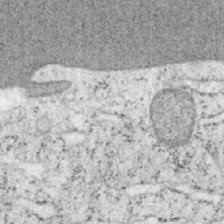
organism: Mouse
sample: OT-I killer T cells with ID8 ovarian cancer cells